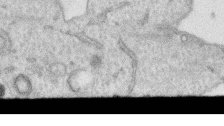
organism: Human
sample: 1205lu cells